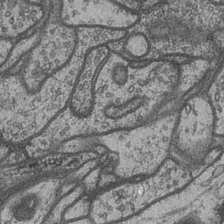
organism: Drosophila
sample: Optic medulla